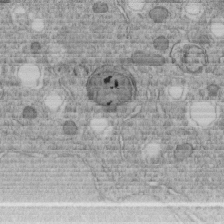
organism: C. elegans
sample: C. elegans embryo early stage